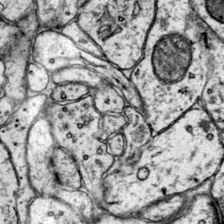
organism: Mouse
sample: Primary visual cortex